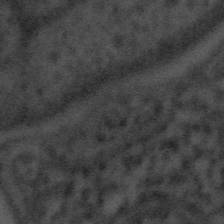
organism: Tuwongella immobilis